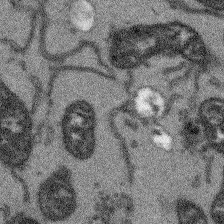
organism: Arabidopsis thaliana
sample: Root tip